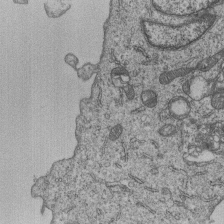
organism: Human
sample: MDA-MB-231 cells